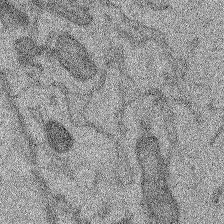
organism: Human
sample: HeLa cells